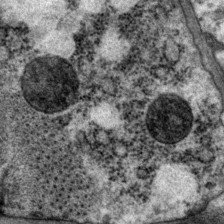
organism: P. pacificus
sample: Pharynx